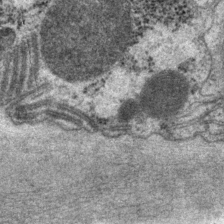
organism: P. pacificus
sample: Pharynx